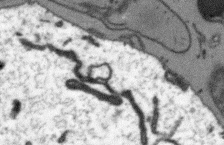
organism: Arabidopsis thaliana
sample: Root tip